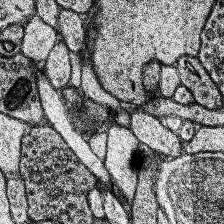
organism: Human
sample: Temporal Lobe